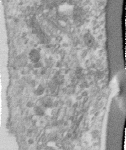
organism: Human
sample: Centriole in RPE cells